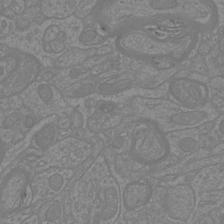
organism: Mouse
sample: Cortical neurons